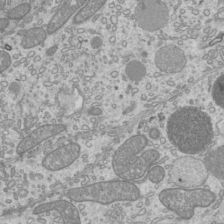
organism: Mouse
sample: Cilia; mouse epididymis